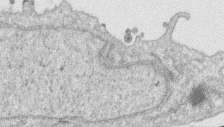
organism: Human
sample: HeLa cell HIV synapse